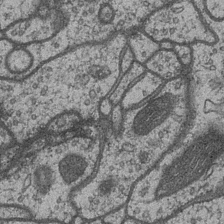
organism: Drosophila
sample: Optic medulla